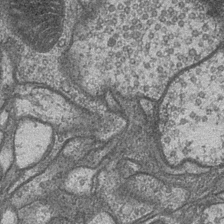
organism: Drosophila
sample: Optic medulla